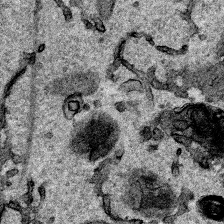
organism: Human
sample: Mitochondria in HCT116 cells